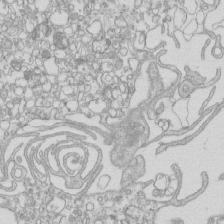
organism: Mouse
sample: Macrophages